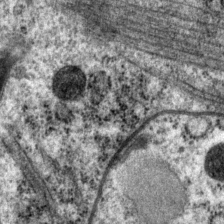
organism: P. pacificus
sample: Pharynx